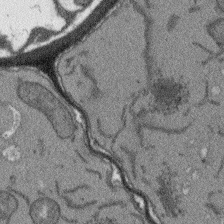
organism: Arabidopsis thaliana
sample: Root tip